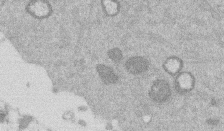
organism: Mouse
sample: Dividing mouse embryo 1 cell stage